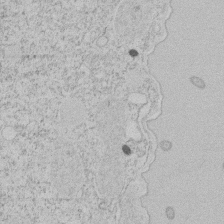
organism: Tetrahymena